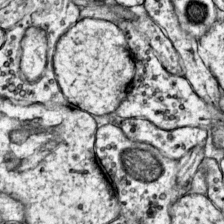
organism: Mouse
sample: Primary visual cortex